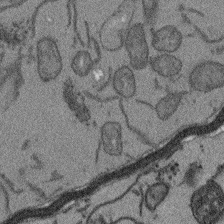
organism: Arabidopsis thaliana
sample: Root tip